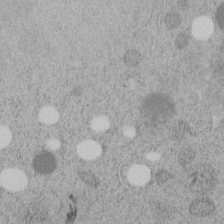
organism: C. elegans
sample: C. elegans embryo early stage